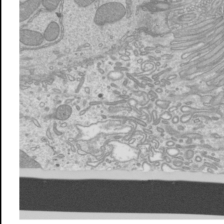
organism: Mouse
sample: Cilia; mouse epididymis